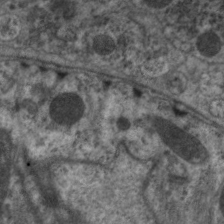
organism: C. elegans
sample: Pharynx